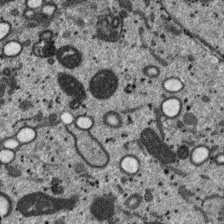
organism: Human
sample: Lung epithelial cells infected with SARS-CoV-2